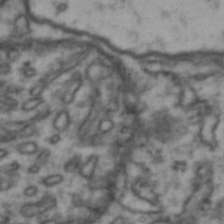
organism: Drosophila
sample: Brain